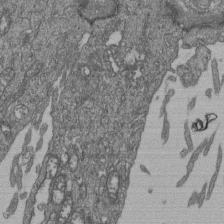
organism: Human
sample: Retinal organoid Rod and Cone cells